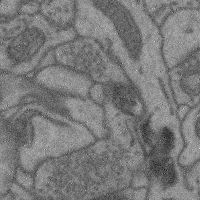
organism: Mouse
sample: Cerebral cortex